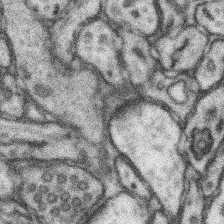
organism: Mouse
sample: Somatosensory cortex neuropil